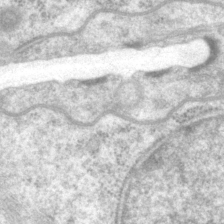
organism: P. pacificus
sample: Pharynx